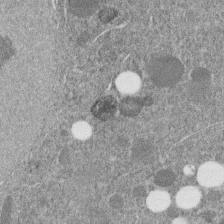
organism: C. elegans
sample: C. elegans embryo early stage